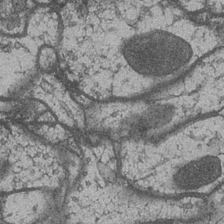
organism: Drosophila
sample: Optic medulla